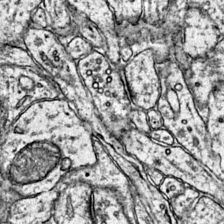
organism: Mouse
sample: Primary visual cortex